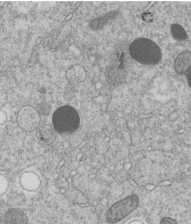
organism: C. elegans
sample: C. elegans embryo early stage